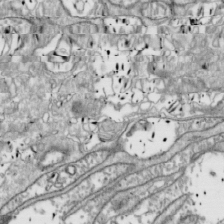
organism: Drosophila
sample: Cell division; meiosis; drosophila spermatocytes